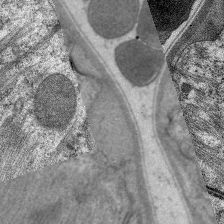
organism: C. elegans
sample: Pharynx